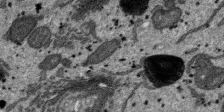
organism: Human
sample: Lung epithelial cells, uninfected (mock) control